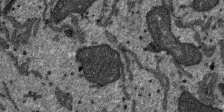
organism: Human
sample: Lung epithelial cells infected with SARS-CoV-2